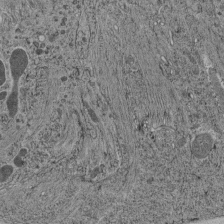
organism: C. elegans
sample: C. elegans pharynx